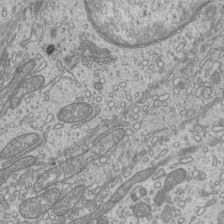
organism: Mouse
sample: Cilia; mouse epididymis